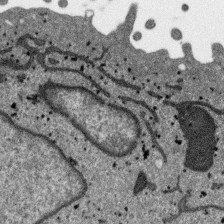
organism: Human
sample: Lung epithelial cells, uninfected (mock) control